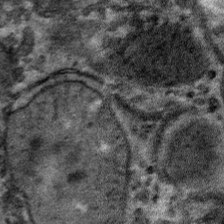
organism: Mouse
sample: Mouse hepatocytes